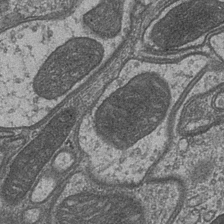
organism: Drosophila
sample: Optic medulla